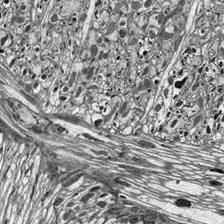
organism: Drosophila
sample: Optic lobe